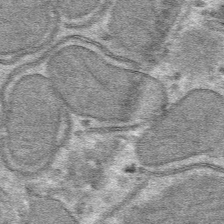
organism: Mouse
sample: Mouse hepatocytes